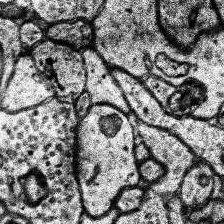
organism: Human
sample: Temporal Lobe